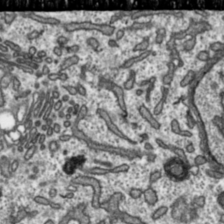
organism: Toxoplasma gondii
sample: Parasites in a vacuole inside a host cell